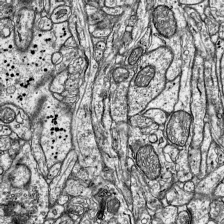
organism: Mouse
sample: Visual Cortex